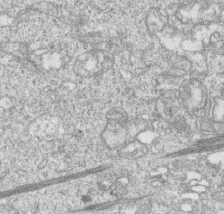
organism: Human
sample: HeLa cell HIV synapse